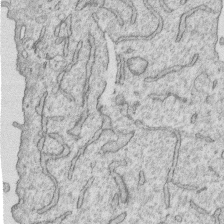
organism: Human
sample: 1205lu cells